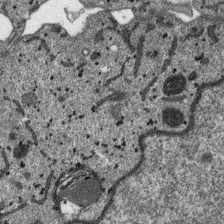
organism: Human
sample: Lung epithelial cells infected with SARS-CoV-2